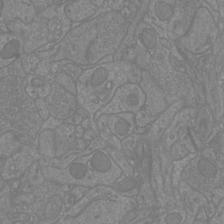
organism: Mouse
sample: Cortical neurons